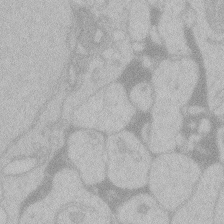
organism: Zebrafish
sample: Macrophage infected with Toxoplasma gondii